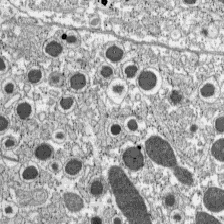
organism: C57BL Mouse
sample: Pancreatic islet